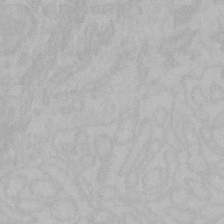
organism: Mouse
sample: Choroid plexus